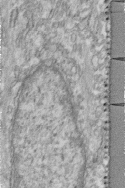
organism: Human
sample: Centriole in fibroblast cells